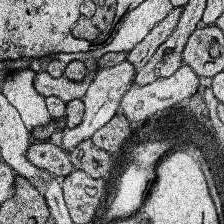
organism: Human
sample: Temporal Lobe